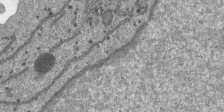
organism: Human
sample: Lung epithelial cells infected with SARS-CoV-2